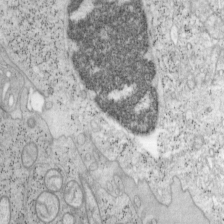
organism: Mouse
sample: OT-I killer T cells with ID8 ovarian cancer cells